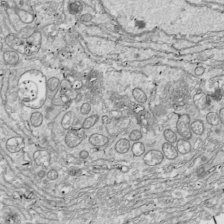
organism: Drosophila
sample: Cell division; meiosis; drosophila spermatocytes